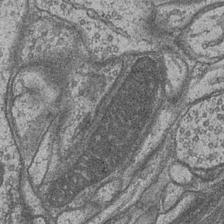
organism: Drosophila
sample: Optic medulla